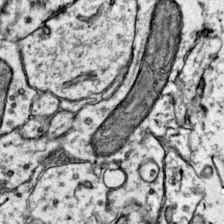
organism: Mouse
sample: Primary visual cortex